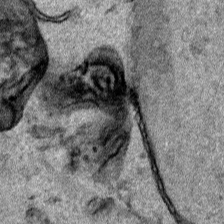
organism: Human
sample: Mitochondria in HCT116 cells